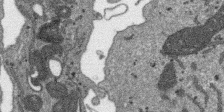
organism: Human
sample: Lung epithelial cells infected with SARS-CoV-2